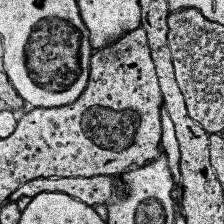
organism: Human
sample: Temporal Lobe